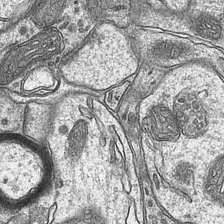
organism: Mouse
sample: CA1 Hippocampus